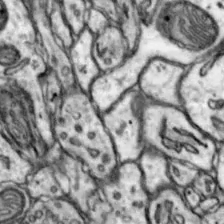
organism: Mouse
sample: Nucleus accumbens